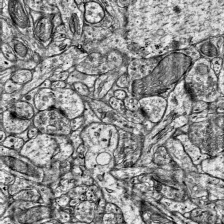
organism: Mouse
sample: Visual Cortex